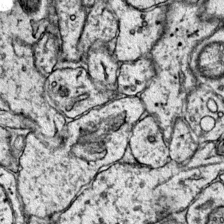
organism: Mouse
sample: Primary visual cortex